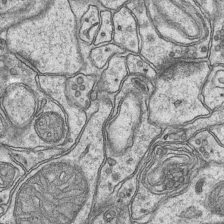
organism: Mouse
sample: CA1 Hippocampus